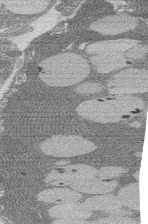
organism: Rat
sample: Salivary granule